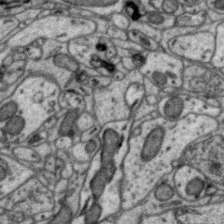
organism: Zebra finch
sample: Brain